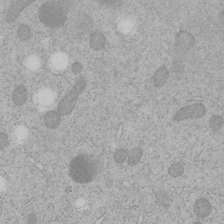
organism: C. elegans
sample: C. elegans embryo early stage